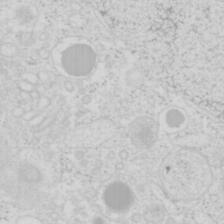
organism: Mouse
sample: Pancreas